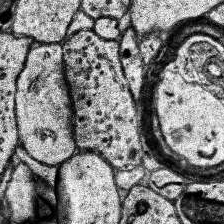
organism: Human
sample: Temporal Lobe